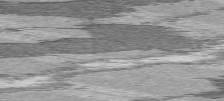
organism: C57BL Mouse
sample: Heart